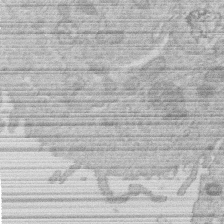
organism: Human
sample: Macrophage cells